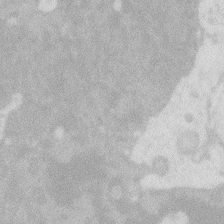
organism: Zebrafish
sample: Macrophage